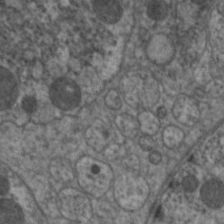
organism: C. elegans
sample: Pharynx